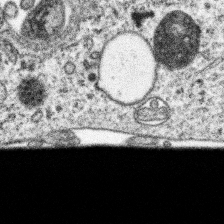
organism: Human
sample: HeLa cells